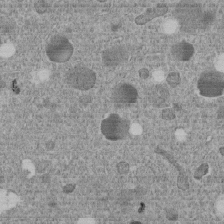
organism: C. elegans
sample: C. elegans embryo early stage